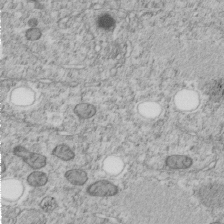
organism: C. elegans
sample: C. elegans embryo early stage